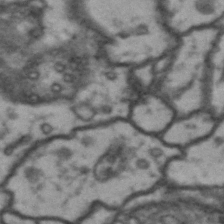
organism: Drosophila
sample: Brain